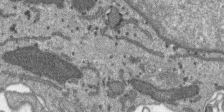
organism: Human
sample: Lung epithelial cells infected with SARS-CoV-2